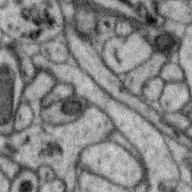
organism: Zebra finch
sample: Brain